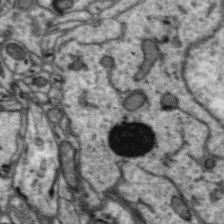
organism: Zebra finch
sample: Brain